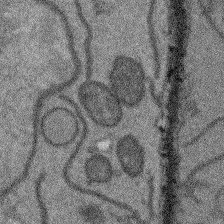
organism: Arabidopsis thaliana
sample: Root tip